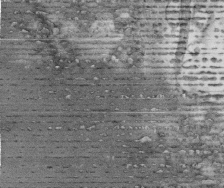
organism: Human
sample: Centriole in fibroblast cells